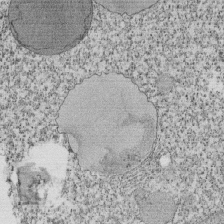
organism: Tetrahymena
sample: Cilia in tetrahymena